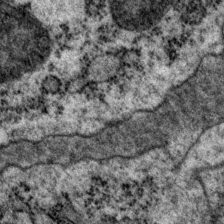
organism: P. pacificus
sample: Pharynx